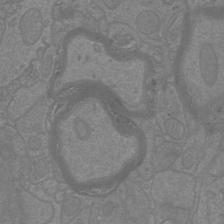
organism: Mouse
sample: Cortical neurons